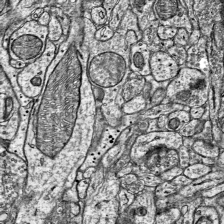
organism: Mouse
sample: Visual Cortex